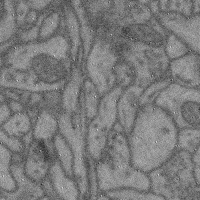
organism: Mouse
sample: Cerebral cortex